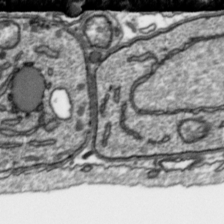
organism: Toxoplasma gondii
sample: Parasites in a vacuole inside a host cell